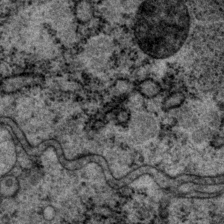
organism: P. pacificus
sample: Pharynx